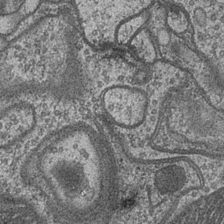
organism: Drosophila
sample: Optic medulla